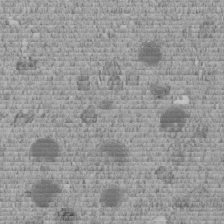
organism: C. elegans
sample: C. elegans embryo early stage